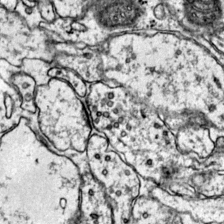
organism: Mouse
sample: Primary visual cortex